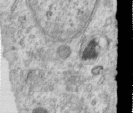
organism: Human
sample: Centriole in RPE cells